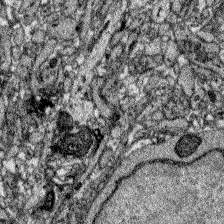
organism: Zebrafish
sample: Larval olfactory bulb